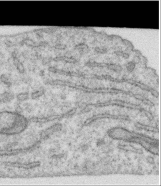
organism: Human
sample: Centriole in RPE cells